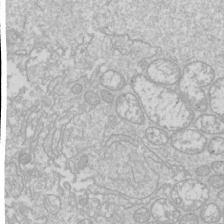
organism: Drosophila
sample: Cell division; meiosis; drosophila spermatocytes